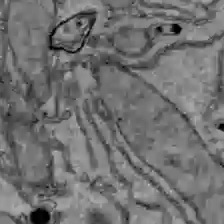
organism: C57BL Mouse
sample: Liver